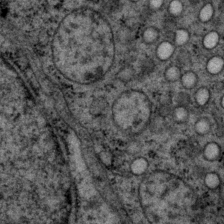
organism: P. pacificus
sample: Pharynx